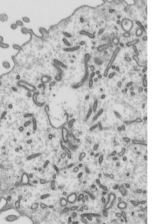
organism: Mouse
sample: Mouse epididymis efferent ductule cilia